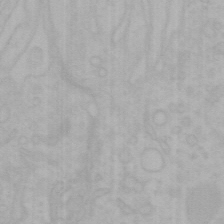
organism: Mouse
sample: Choroid plexus